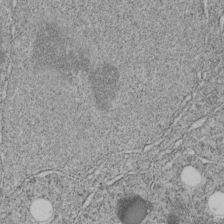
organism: C. elegans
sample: C. elegans embryo early stage